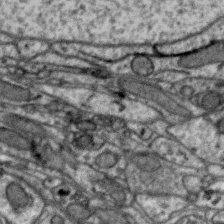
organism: Zebra finch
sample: Brain